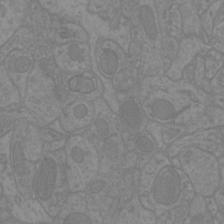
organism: Mouse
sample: Cortical neurons